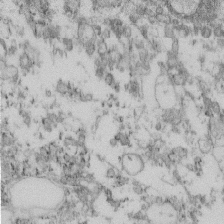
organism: Mouse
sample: Cilia; retinal pigment epithelium